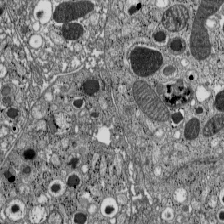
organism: C57BL Mouse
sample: Pancreatic islet